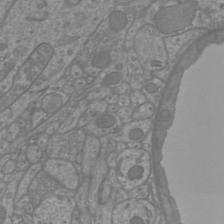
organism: Mouse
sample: Cortical neurons